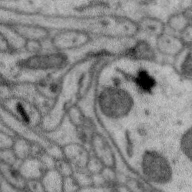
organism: Zebra finch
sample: Brain